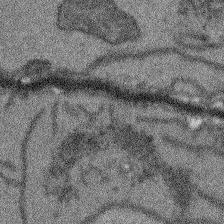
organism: Arabidopsis thaliana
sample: Root tip